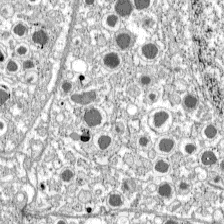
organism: C57BL Mouse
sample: Pancreatic islet